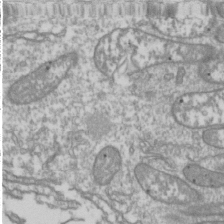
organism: Drosophila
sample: Cell division; meiosis; drosophila spermatocytes